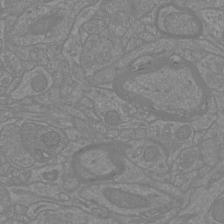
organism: Mouse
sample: Cortical neurons